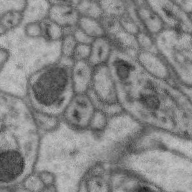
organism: Zebra finch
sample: Brain